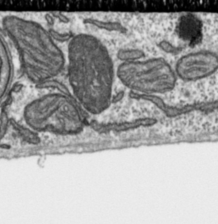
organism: Toxoplasma gondii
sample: Parasites in a vacuole inside a host cell